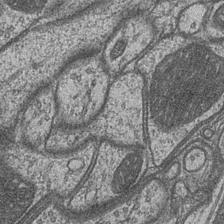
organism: Drosophila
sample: Optic medulla